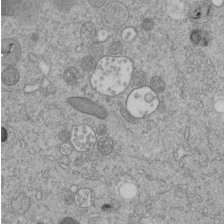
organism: C. elegans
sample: C. elegans embryo early stage